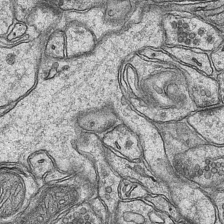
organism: Mouse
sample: CA1 Hippocampus